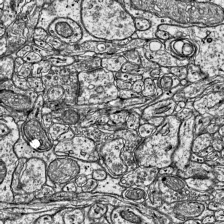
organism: Mouse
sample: Visual Cortex